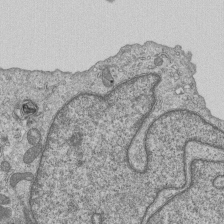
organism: Human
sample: MDA-MB-231 cells